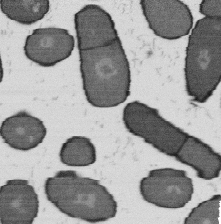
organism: B. subtilis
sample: Bacterial spore